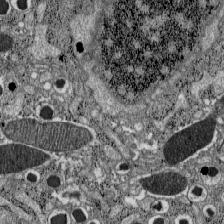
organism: C57BL Mouse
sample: Pancreatic islet